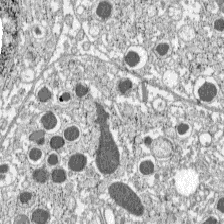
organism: C57BL Mouse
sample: Pancreatic islet